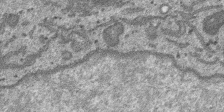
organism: Human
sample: Lung epithelial cells infected with SARS-CoV-2